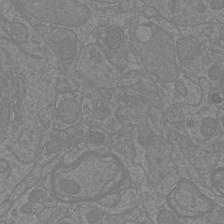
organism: Mouse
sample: Cortical neurons